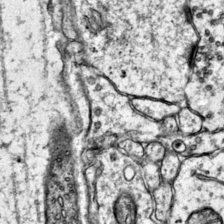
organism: Mouse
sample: Primary visual cortex